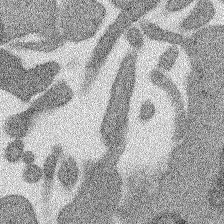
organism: Human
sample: HeLa cells